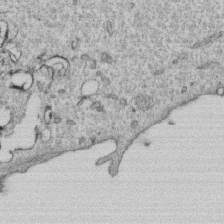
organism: Human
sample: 1205lu cells